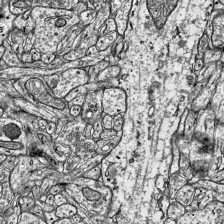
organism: Mouse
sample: Visual Cortex